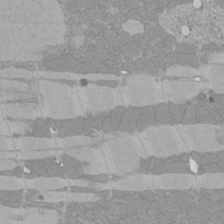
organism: Rat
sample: Left ventricle